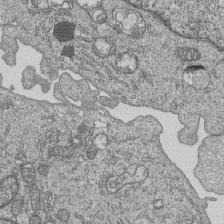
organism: Human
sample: MDA-MB-231 cells